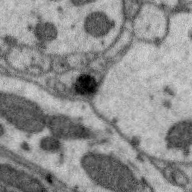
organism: Zebra finch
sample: Brain